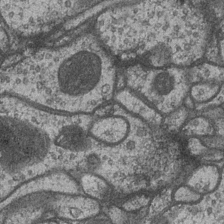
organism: Drosophila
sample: Optic medulla